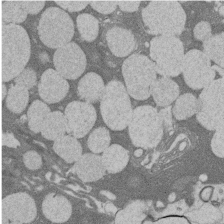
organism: Rat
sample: Salivary granule